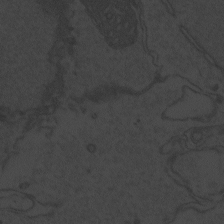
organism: Zebrafish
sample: Macrophage infected with Toxoplasma gondii